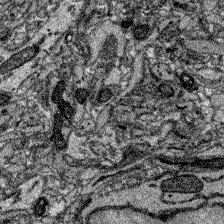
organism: Zebrafish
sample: Larval olfactory bulb